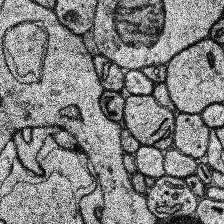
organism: Human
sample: Temporal Lobe